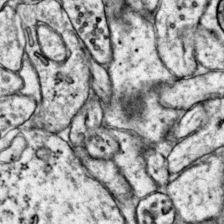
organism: Mouse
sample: Primary visual cortex